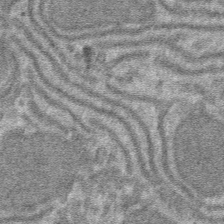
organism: Mouse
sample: Mouse hepatocytes